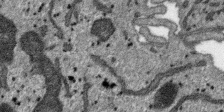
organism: Human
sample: Lung epithelial cells, uninfected (mock) control